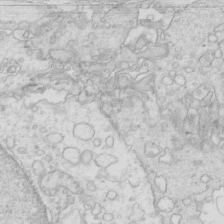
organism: Mouse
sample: Multiciliated cells